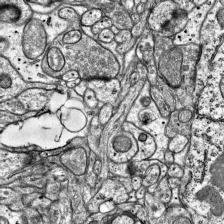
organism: Mouse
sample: Visual Cortex